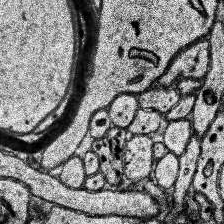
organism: Human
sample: Temporal Lobe